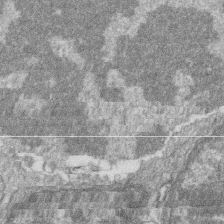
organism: Zebrafish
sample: Cilia; retinal pigment epithelium